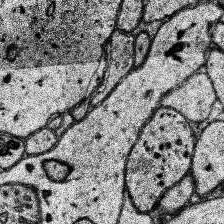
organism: Human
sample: Temporal Lobe